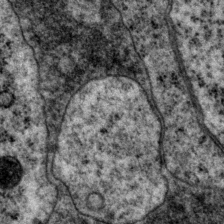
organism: P. pacificus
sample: Pharynx